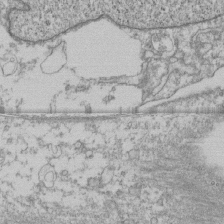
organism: Human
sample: Fibroblast cells